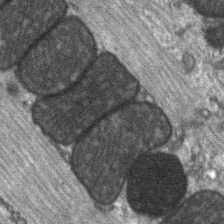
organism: C57BL Mouse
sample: Soleus